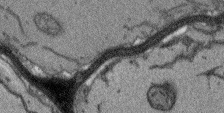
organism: Arabidopsis thaliana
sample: Root tip